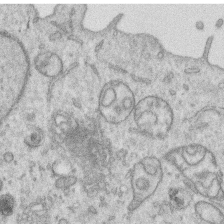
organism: Human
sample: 1205lu cells